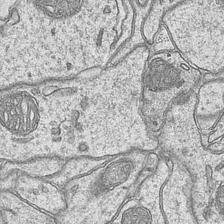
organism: Mouse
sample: CA1 Hippocampus